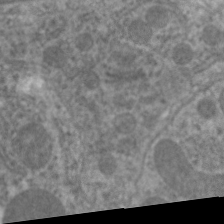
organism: C. elegans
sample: Pharynx